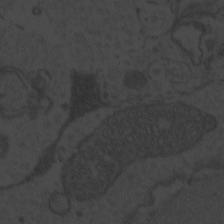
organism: Zebrafish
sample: Macrophage infected with Toxoplasma gondii